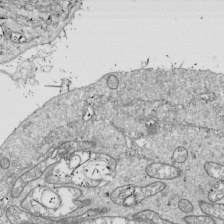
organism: Drosophila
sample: Cell division; meiosis; drosophila spermatocytes